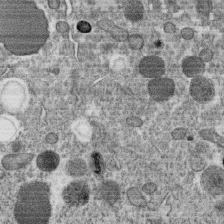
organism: C. elegans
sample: C. elegans oocyte; sperm cells